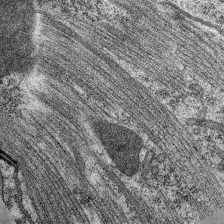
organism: C. elegans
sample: Pharynx